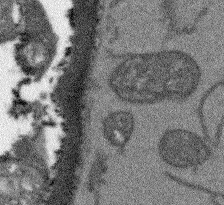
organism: Arabidopsis thaliana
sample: Root tip